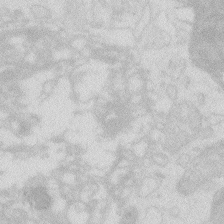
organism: Zebrafish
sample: Macrophage